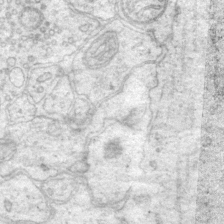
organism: Mouse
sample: Primary visual cortex